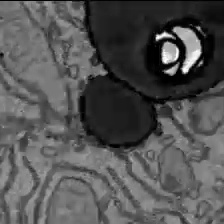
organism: C57BL Mouse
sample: Liver